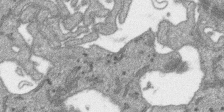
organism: Human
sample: Lung epithelial cells infected with SARS-CoV-2